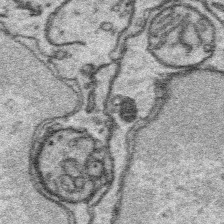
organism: Platynereis dumerilii